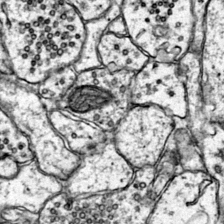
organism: Mouse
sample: Primary visual cortex